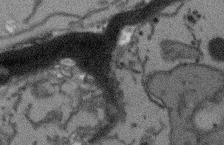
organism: Arabidopsis thaliana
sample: Root tip